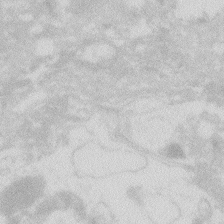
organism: Zebrafish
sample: Macrophage